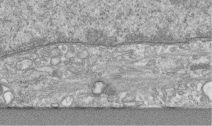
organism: Human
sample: Centriole in RPE cells